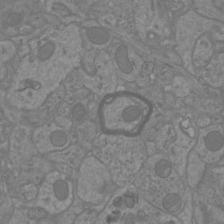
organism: Mouse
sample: Cortical neurons